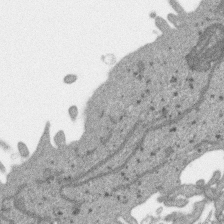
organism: Human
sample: Lung epithelial cells infected with SARS-CoV-2